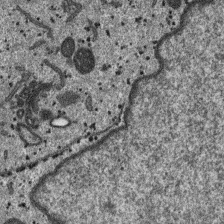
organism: Human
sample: Lung epithelial cells infected with SARS-CoV-2